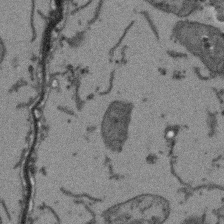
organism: Arabidopsis thaliana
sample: Root tip